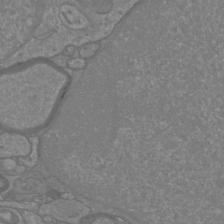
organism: Mouse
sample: Cortical neurons